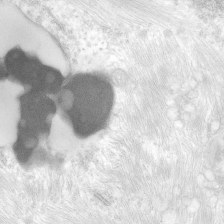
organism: Human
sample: Neocortex